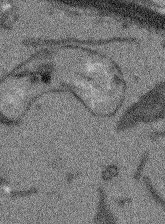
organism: Arabidopsis thaliana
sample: Root tip